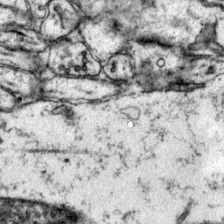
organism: Mouse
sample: Primary visual cortex